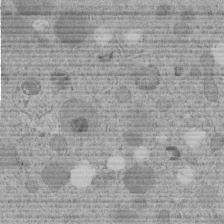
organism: C. elegans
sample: C. elegans embryo early stage